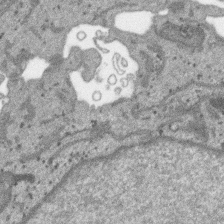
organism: Human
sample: Lung epithelial cells infected with SARS-CoV-2